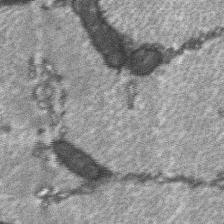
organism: C57BL Mouse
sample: Soleus